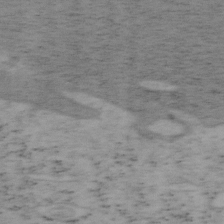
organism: Mouse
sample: OT-I killer T cells with ID8 ovarian cancer cells